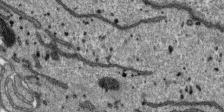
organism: Human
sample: Lung epithelial cells, uninfected (mock) control